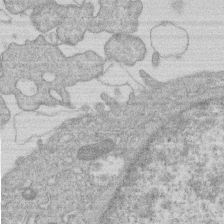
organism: Human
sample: Macrophage cells